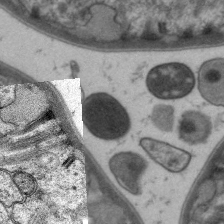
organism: C. elegans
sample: Pharynx